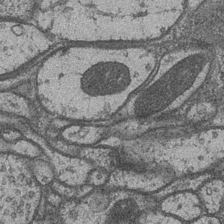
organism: Drosophila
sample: Optic medulla